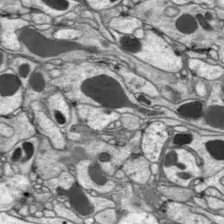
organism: Drosophila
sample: Optic lobe